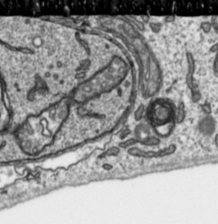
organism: Toxoplasma gondii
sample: Parasites in a vacuole inside a host cell